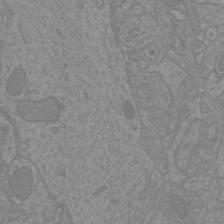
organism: Mouse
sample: Cortical neurons